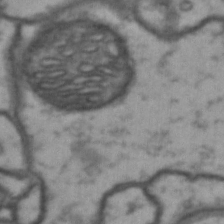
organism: Drosophila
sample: Brain